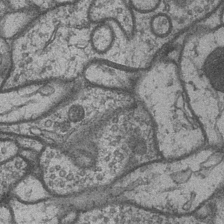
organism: Drosophila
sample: Optic medulla